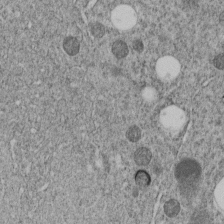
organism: C. elegans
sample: C. elegans embryo early stage